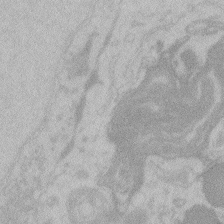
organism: Zebrafish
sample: Macrophage infected with Toxoplasma gondii